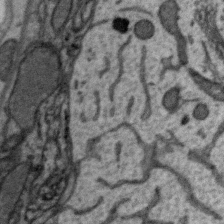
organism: Zebra finch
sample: Brain